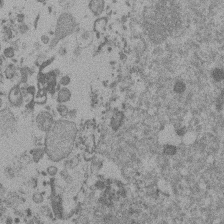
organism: Mouse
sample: Dividing mouse embryo 1 cell stage